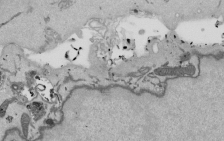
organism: Mouse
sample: ED-1 cell nuclei; centrioles